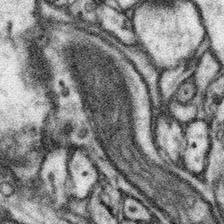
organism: Mouse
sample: Somatosensory cortex neuropil